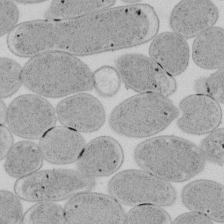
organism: E. coli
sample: Bacterial nucleoid